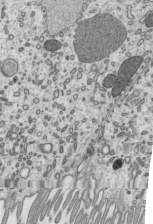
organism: Mouse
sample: Mouse epididymis efferent ductule cilia